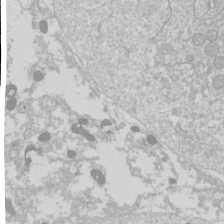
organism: Drosophila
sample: Cell division; meiosis; drosophila spermatocytes